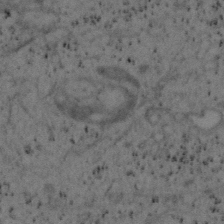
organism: Human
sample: HeLa cells